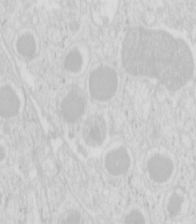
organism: Mouse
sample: Pancreas